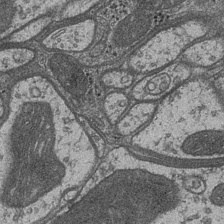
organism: Drosophila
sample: Optic medulla